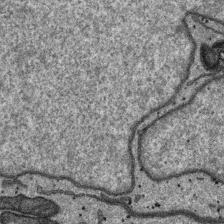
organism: Human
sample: Lung epithelial cells, uninfected (mock) control